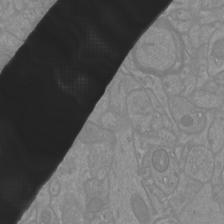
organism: Mouse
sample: Cortical neurons